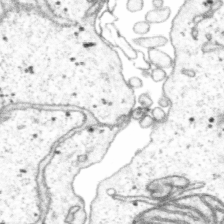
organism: Human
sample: HeLa cells